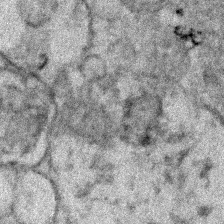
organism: Human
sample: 1205lu cells